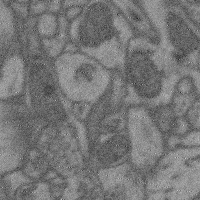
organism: Mouse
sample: Cerebral cortex